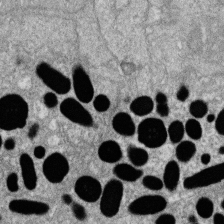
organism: Zebrafish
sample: Cilia; retinal pigment epithelium